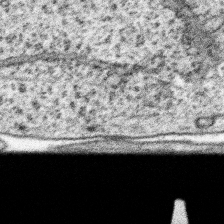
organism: Human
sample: HeLa cells